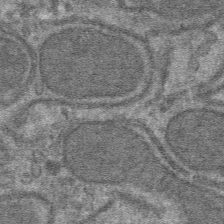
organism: Mouse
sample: Mouse hepatocytes